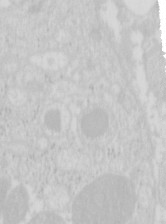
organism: Mouse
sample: Pancreas